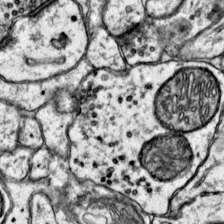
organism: Mouse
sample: Primary visual cortex